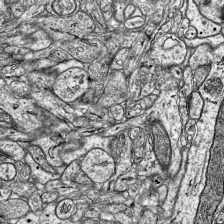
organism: Mouse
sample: Visual Cortex